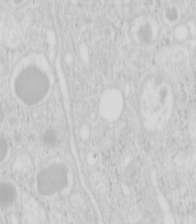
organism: Mouse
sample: Pancreas